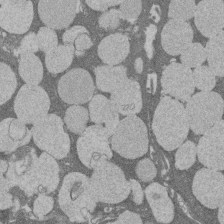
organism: Rat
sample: Salivary granule